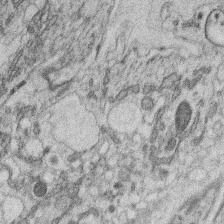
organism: C. elegans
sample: C. elegans oocyte; sperm cells